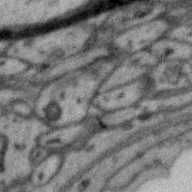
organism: Zebra finch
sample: Brain